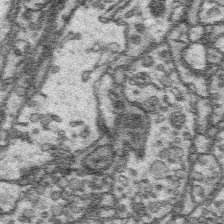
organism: Platynereis dumerilii